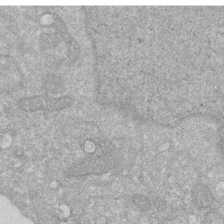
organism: Human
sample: HIV infected U937 cells